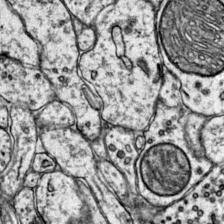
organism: Mouse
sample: Primary visual cortex